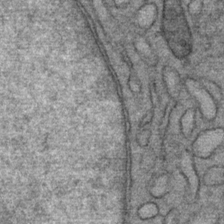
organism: Mouse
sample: Mouse Salivary gland